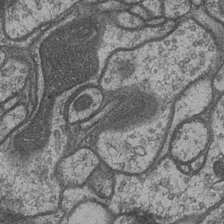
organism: Drosophila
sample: Optic medulla